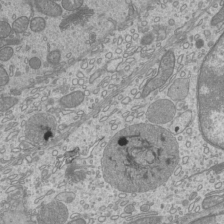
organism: Mouse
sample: Cilia; mouse epididymis